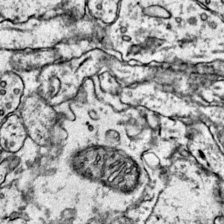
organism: Mouse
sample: Primary visual cortex